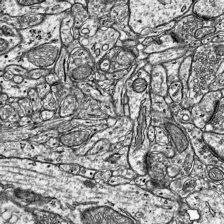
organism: Mouse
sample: Visual Cortex